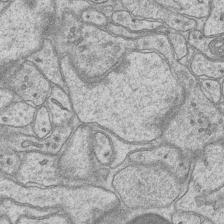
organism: Mouse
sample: CA1 Hippocampus